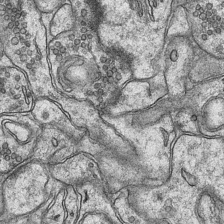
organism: Mouse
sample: CA1 Hippocampus